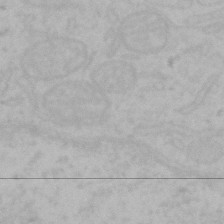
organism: Mouse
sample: Choroid plexus